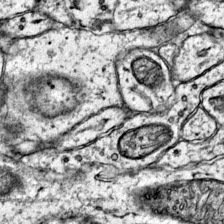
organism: Mouse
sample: Primary visual cortex